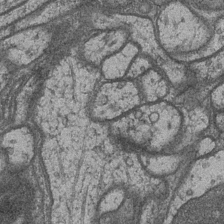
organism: Drosophila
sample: Optic medulla